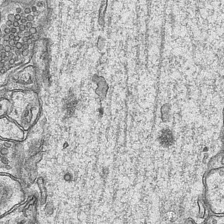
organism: Mouse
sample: CA1 Hippocampus